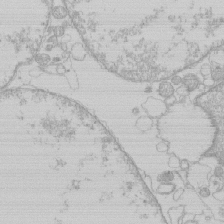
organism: Human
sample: Macrophage cells